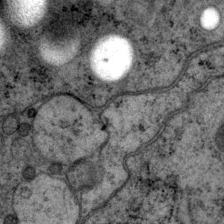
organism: P. pacificus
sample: Pharynx